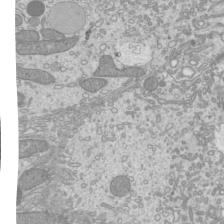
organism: Mouse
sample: Cilia; mouse epididymis